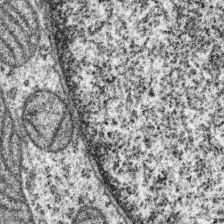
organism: Human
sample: HeLa cells